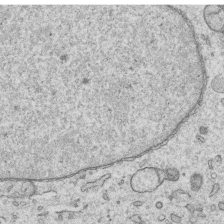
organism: Human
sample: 1205lu cells